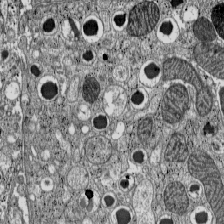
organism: C57BL Mouse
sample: Pancreatic islet